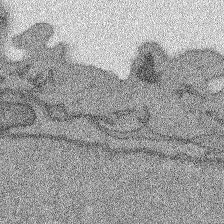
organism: Human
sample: HeLa cells